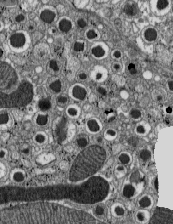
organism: C57BL Mouse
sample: Pancreatic islet